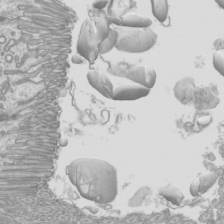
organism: Mouse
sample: Cilia; mouse epididymis